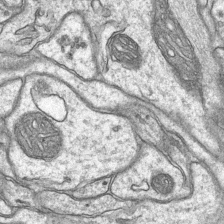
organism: Mouse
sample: CA1 Hippocampus